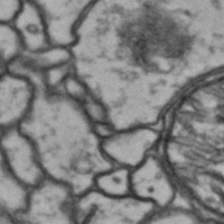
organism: Drosophila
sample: Brain